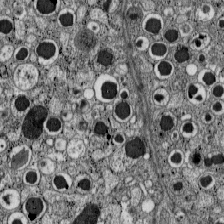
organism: C57BL Mouse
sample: Pancreatic islet